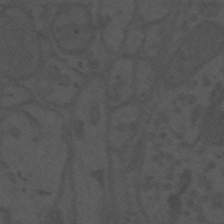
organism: Mouse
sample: Suprachiasmatic nucleus